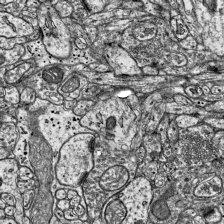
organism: Mouse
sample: Visual Cortex